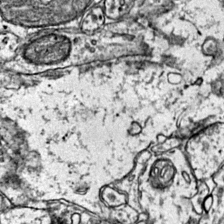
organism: Mouse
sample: Primary visual cortex